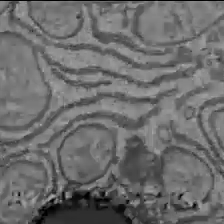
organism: C57BL Mouse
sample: Liver